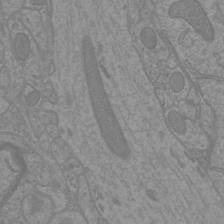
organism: Mouse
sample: Cortical neurons